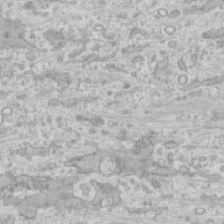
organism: Human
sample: CRL-1474